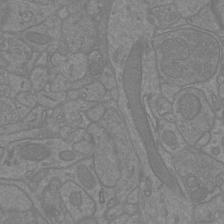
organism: Mouse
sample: Cortical neurons